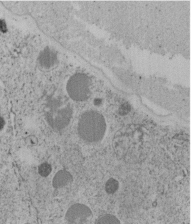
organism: C. elegans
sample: C. elegans embryo early stage